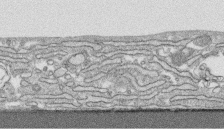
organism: Human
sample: CRL-1474